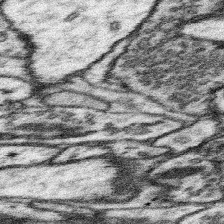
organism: Mouse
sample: Somatosensory cortex neuropil